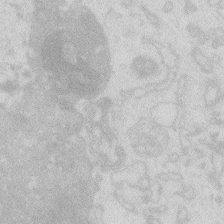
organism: Zebrafish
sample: Macrophage